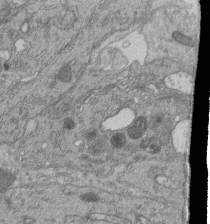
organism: Human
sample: Retinal organoid Rod and Cone cells